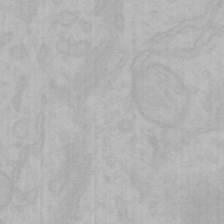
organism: Mouse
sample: Choroid plexus